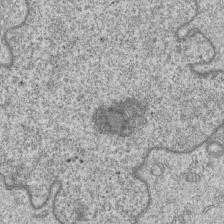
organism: Human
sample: MDA-MB-231 cells